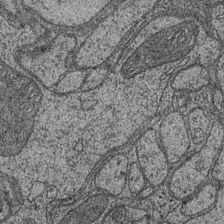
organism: Drosophila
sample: Optic medulla